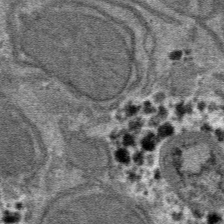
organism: Mouse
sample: Mouse hepatocytes